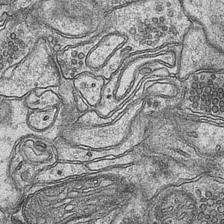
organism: Mouse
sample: CA1 Hippocampus